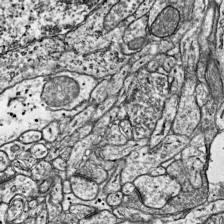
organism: Mouse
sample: Visual Cortex